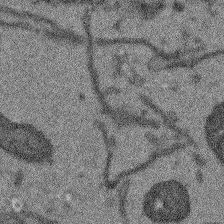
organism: Arabidopsis thaliana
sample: Root tip